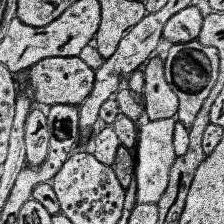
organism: Human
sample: Temporal Lobe